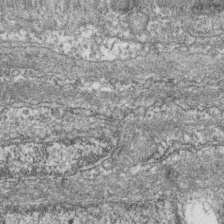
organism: Zebrafish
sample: Cilia; retinal pigment epithelium